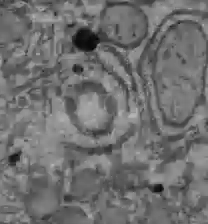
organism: C57BL Mouse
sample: Liver